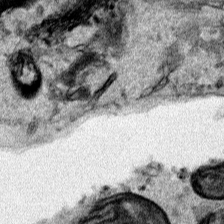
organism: Human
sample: Mitochondria in HCT116 cells